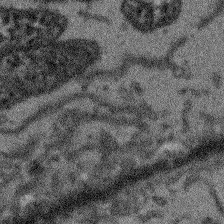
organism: Arabidopsis thaliana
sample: Root tip